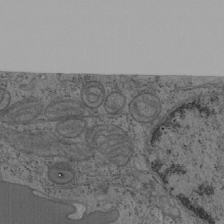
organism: Human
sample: HeLa cells